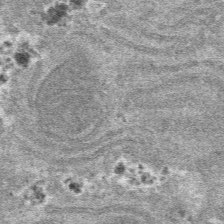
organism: Mouse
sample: Mouse hepatocytes